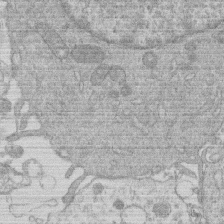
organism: Human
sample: Macrophage cells